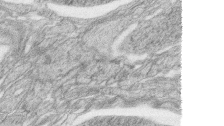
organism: Zebrafish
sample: synaptic ribbons in rod cells and cone cells